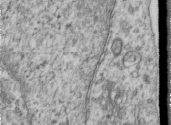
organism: Human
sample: Centriole in RPE cells